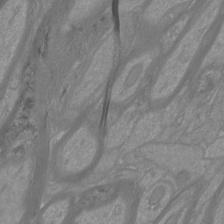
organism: Mouse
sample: Cortical neurons